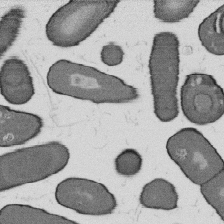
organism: B. subtilis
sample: Bacterial spore